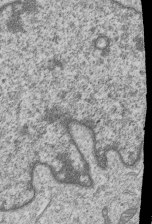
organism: Human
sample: MDA-MB-231 cells